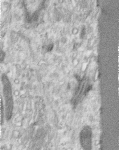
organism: Human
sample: Centriole in RPE cells